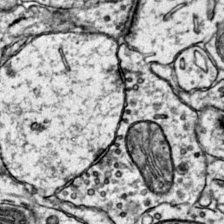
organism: Mouse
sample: Primary visual cortex